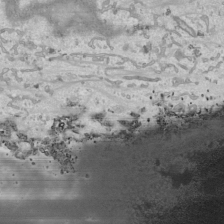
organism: Human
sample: Mitochondria in HCT116 cells